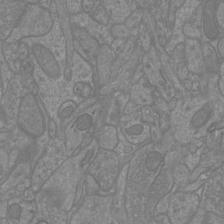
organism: Mouse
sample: Cortical neurons